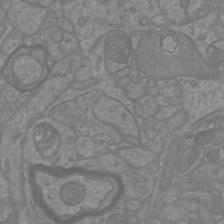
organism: Mouse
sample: Cortical neurons